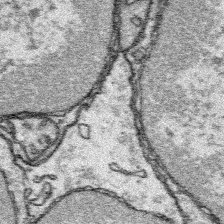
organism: Platynereis dumerilii